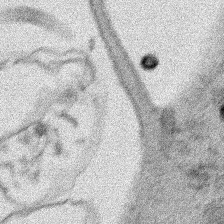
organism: Human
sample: Mitochondria in HCT116 cells